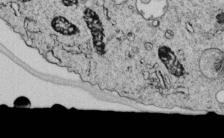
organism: C. elegans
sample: C. elegans embryo early stage